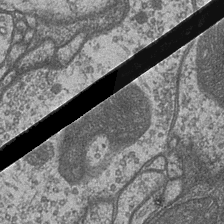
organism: Drosophila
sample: Optic medulla